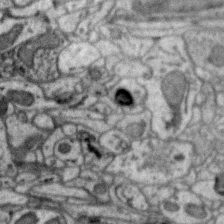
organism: Zebra finch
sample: Brain